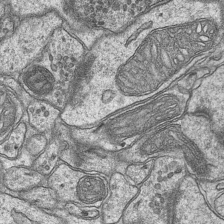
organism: Mouse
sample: CA1 Hippocampus